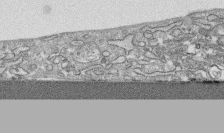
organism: Human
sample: CRL-1474